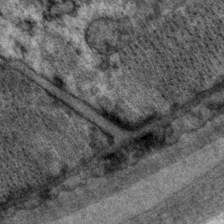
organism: P. pacificus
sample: Pharynx